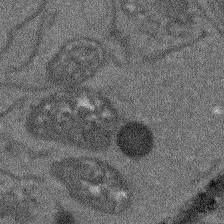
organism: Arabidopsis thaliana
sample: Root tip